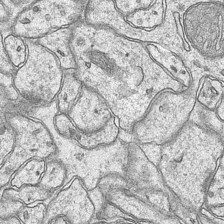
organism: Mouse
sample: CA1 Hippocampus